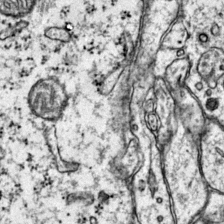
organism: Mouse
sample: Primary visual cortex